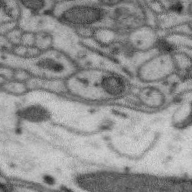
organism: Zebra finch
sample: Brain